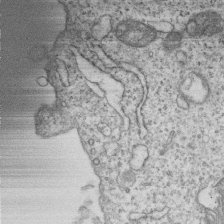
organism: Human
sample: MDA-MB-231 cells